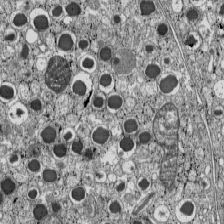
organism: C57BL Mouse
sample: Pancreatic islet